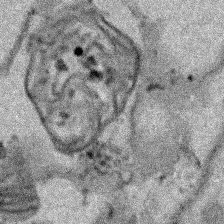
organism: Human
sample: Mitochondria in HCT116 cells